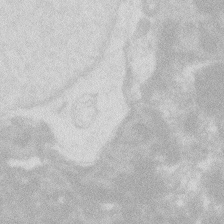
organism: Zebrafish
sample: Macrophage